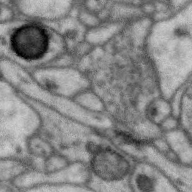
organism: Zebra finch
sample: Brain